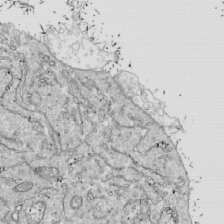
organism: Drosophila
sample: Cell division; meiosis; drosophila spermatocytes